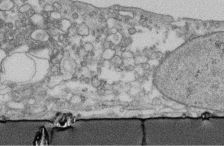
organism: Human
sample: Centriole in fibroblast cells